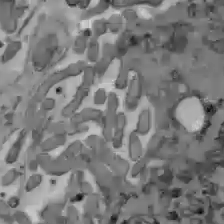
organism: C57BL Mouse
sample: Liver